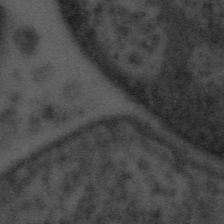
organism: Tuwongella immobilis